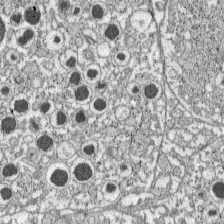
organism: C57BL Mouse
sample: Pancreatic islet